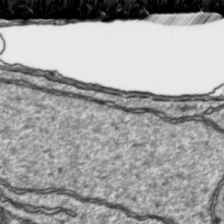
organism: Toxoplasma gondii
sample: Parasites in a vacuole inside a host cell